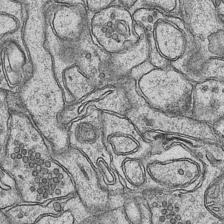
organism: Mouse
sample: CA1 Hippocampus